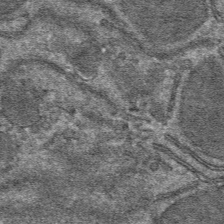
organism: Mouse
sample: Mouse hepatocytes